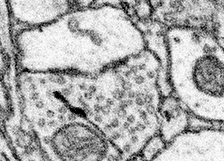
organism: Mouse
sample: Somatosensory cortex neuropil